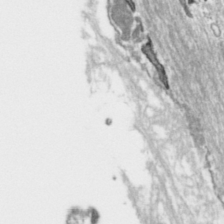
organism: Toxoplasma gondii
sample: Parasites in a vacuole inside a host cell